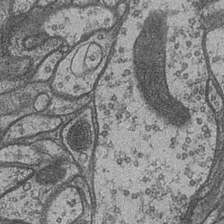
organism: Drosophila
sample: Optic medulla